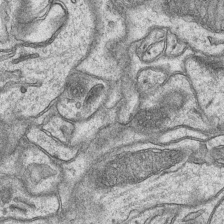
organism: Mouse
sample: CA1 Hippocampus